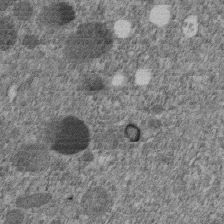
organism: C. elegans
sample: C. elegans embryo early stage